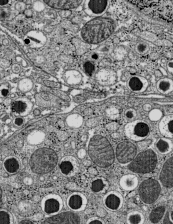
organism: C57BL Mouse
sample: Pancreatic islet